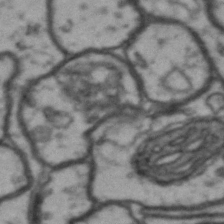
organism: Drosophila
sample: Brain